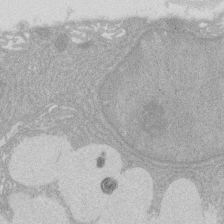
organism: Rat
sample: Salivary granule